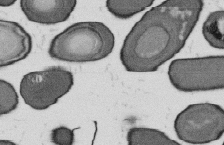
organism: B. subtilis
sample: Bacterial spore